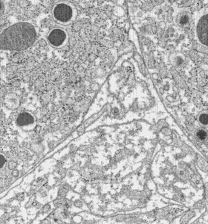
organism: C57BL Mouse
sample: Pancreatic islet